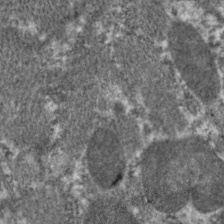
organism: C. elegans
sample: Pharynx